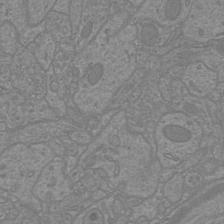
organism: Mouse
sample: Cortical neurons